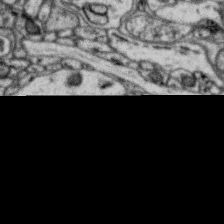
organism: Zebra finch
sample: Brain